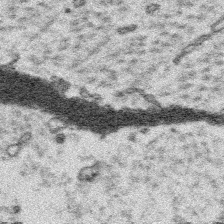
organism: Platynereis dumerilii